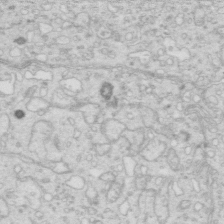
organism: Mouse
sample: Multiciliated cells